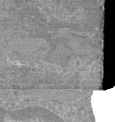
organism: Mouse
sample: Glomerulus